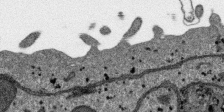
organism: Human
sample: Lung epithelial cells, uninfected (mock) control